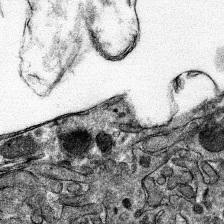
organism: Mouse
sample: Mouse hepatocytes